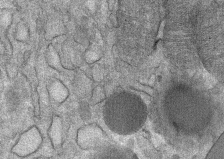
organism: Mouse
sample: Mouse Salivary gland